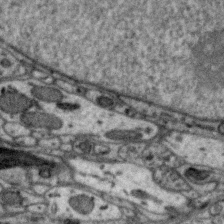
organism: Zebra finch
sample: Brain